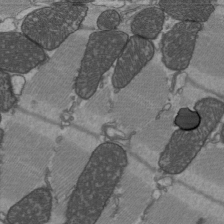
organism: C57BL Mouse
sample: Heart